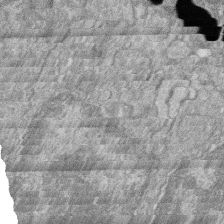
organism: Zebrafish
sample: Cilia; retinal pigment epithelium